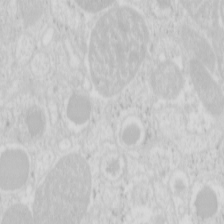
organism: Mouse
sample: Pancreas